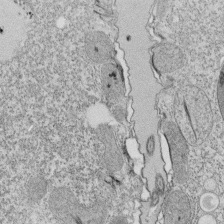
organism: Tetrahymena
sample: Cilia in tetrahymena